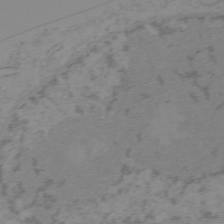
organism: Human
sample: HeLa cells